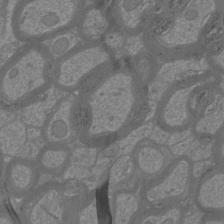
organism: Mouse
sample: Cortical neurons